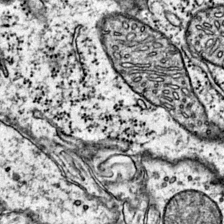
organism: Mouse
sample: Primary visual cortex